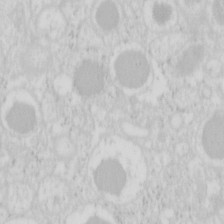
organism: Mouse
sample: Pancreas